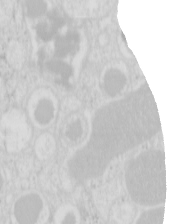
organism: Mouse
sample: Pancreas